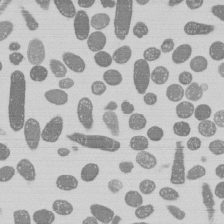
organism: E. coli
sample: Bacterial nucleoid